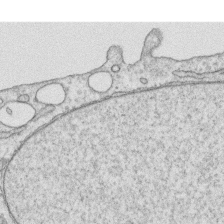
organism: Human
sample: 1205lu cells